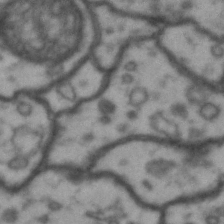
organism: Drosophila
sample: Brain